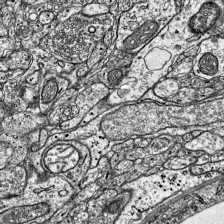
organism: Mouse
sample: Visual Cortex